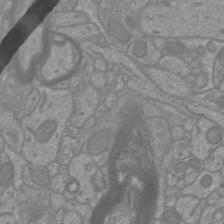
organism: Mouse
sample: Cortical neurons